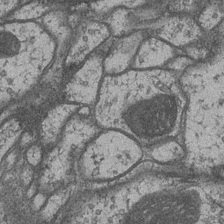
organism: Drosophila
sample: Optic medulla